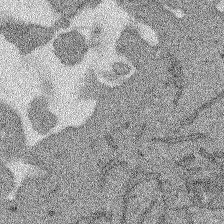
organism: Human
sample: HeLa cells